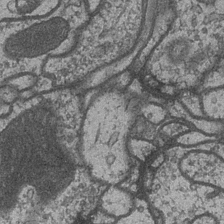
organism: Drosophila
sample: Optic medulla